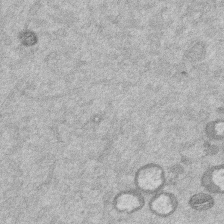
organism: Mouse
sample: Dividing mouse embryo 1 cell stage